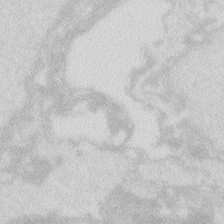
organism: Zebrafish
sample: Macrophage